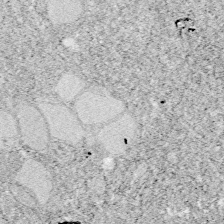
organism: Zebrafish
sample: Whole-Brain